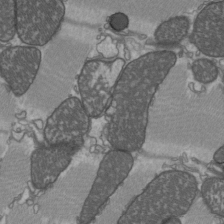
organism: C57BL Mouse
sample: Heart